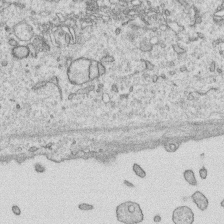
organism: Human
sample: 1205lu cells